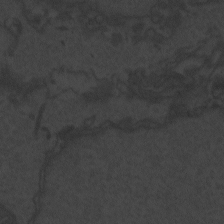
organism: Zebrafish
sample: Macrophage infected with Toxoplasma gondii